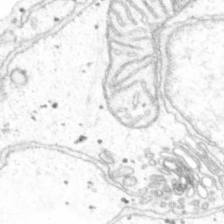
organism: Human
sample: HeLa cells